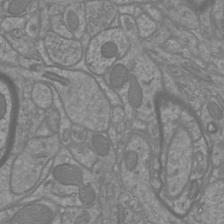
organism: Mouse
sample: Cortical neurons